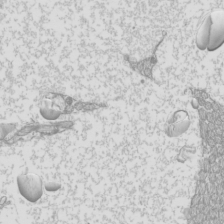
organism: Mouse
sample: Cilia; mouse epididymis